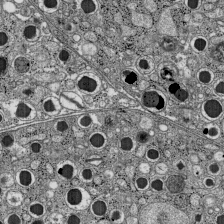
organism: C57BL Mouse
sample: Pancreatic islet